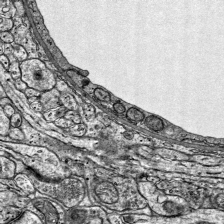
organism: Mouse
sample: Visual Cortex